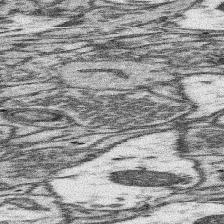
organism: Mouse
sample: Somatosensory cortex neuropil